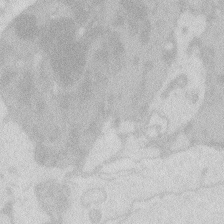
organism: Zebrafish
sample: Macrophage